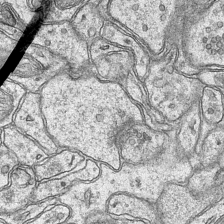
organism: Mouse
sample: CA1 Hippocampus